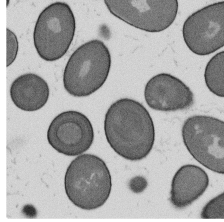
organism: B. subtilis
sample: Bacterial spore